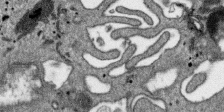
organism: Human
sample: Lung epithelial cells, uninfected (mock) control